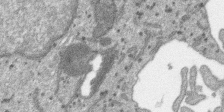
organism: Human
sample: Lung epithelial cells infected with SARS-CoV-2